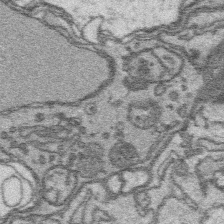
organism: Platynereis dumerilii